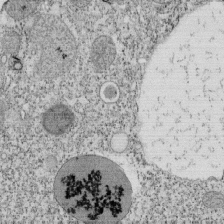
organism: Tetrahymena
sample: Cilia in tetrahymena